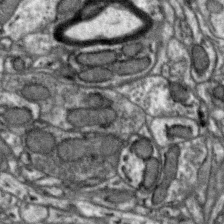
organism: Zebra finch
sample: Brain